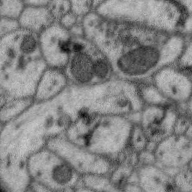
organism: Zebra finch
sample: Brain